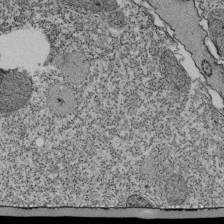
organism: Tetrahymena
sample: Cilia in tetrahymena